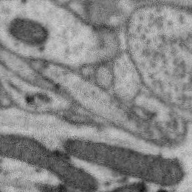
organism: Zebra finch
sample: Brain